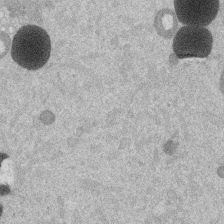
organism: Mouse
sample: Dividing mouse embryo 1 cell stage